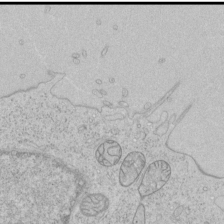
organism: Human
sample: Mitochondria in HCT116 cells